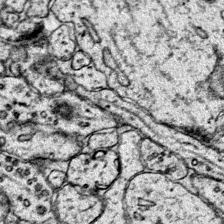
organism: Mouse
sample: Primary visual cortex